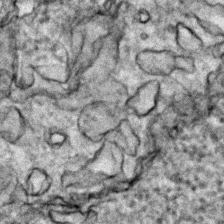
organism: Zebrafish